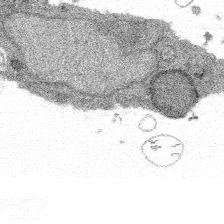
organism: Spongilla lacustris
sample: Multiple